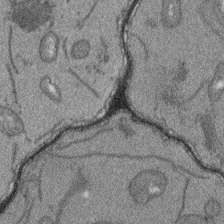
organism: Arabidopsis thaliana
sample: Root tip